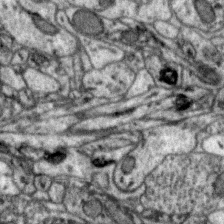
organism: Zebra finch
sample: Brain